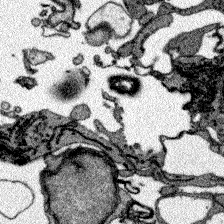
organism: Zebrafish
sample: Larval olfactory bulb